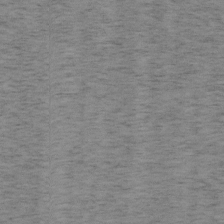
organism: Mouse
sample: OT-I killer T cells with ID8 ovarian cancer cells